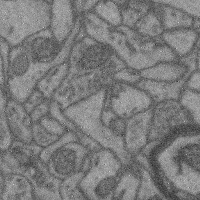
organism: Mouse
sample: Cerebral cortex